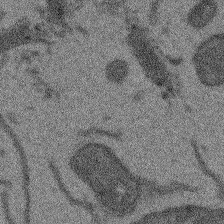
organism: Arabidopsis thaliana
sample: Root tip